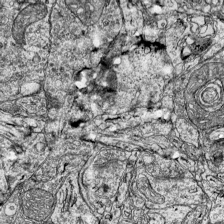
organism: Mouse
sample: Visual Cortex